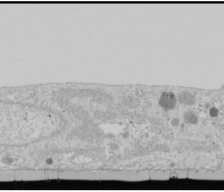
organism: Human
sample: Mitochondria in U2OS cells